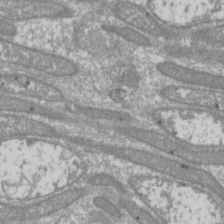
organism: Drosophila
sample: Cell division; meiosis; drosophila spermatocytes